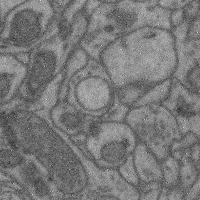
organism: Mouse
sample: Cerebral cortex